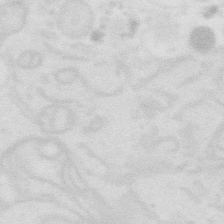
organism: Human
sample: HeLa cells